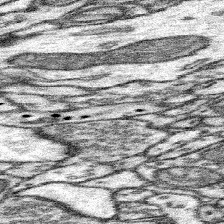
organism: Mouse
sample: Somatosensory cortex neuropil